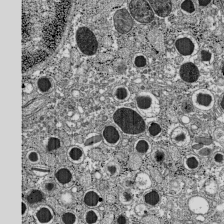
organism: C57BL Mouse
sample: Pancreatic islet